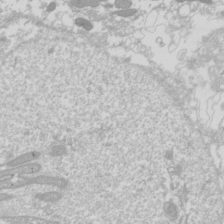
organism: Drosophila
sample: Cell division; meiosis; drosophila spermatocytes